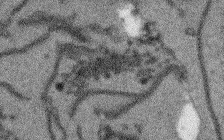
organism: Arabidopsis thaliana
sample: Root tip